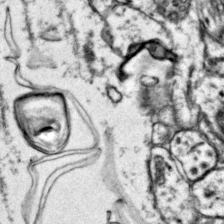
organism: Mouse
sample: Primary visual cortex